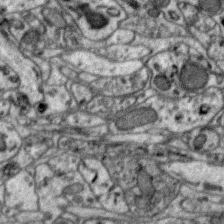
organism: Zebra finch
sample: Brain